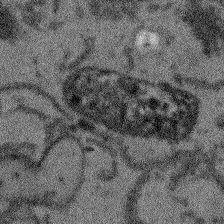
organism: Arabidopsis thaliana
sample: Root tip